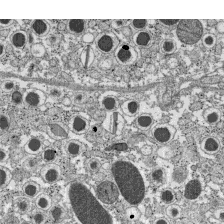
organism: C57BL Mouse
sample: Pancreatic islet